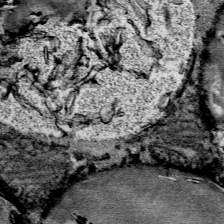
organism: Mouse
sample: Mouse Salivary gland